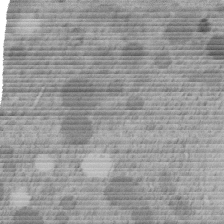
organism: C. elegans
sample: C. elegans embryo early stage